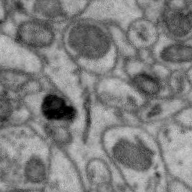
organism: Zebra finch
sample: Brain